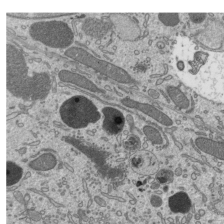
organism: Mouse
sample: Mouse epididymis efferent ductule cilia